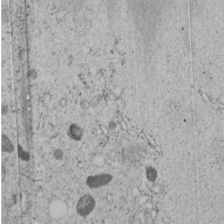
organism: C. elegans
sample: C. elegans embryo early stage